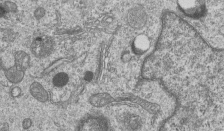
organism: Human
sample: MDA-MB-231 cells